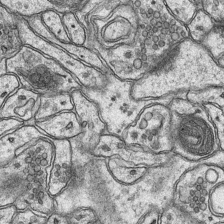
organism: Mouse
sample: CA1 Hippocampus